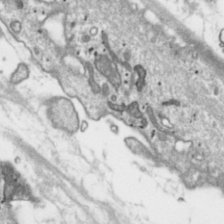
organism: Toxoplasma gondii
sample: Parasites in a vacuole inside a host cell